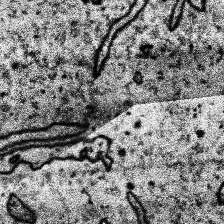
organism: Human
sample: Temporal Lobe